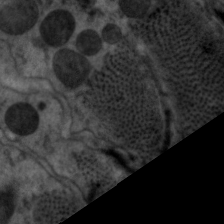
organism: C. elegans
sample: Pharynx